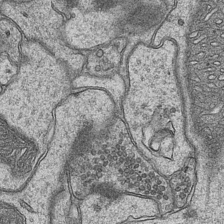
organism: Mouse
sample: CA1 Hippocampus